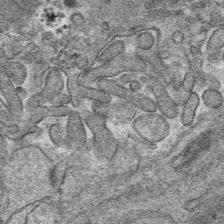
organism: Mouse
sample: Mouse hepatocytes